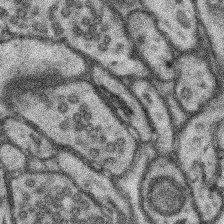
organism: Mouse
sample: Somatosensory cortex neuropil